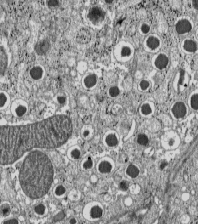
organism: C57BL Mouse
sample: Pancreatic islet